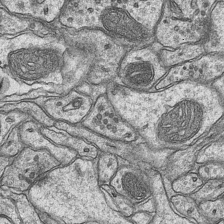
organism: Mouse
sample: CA1 Hippocampus